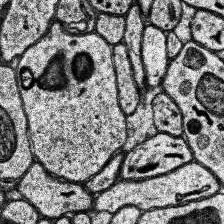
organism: Human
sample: Temporal Lobe